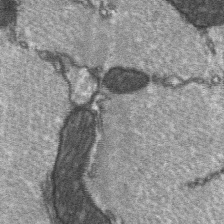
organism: C57BL Mouse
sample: Soleus